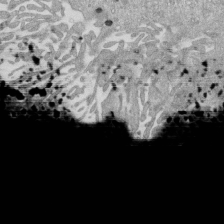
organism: Mouse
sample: ED-1 cell nuclei; centrioles